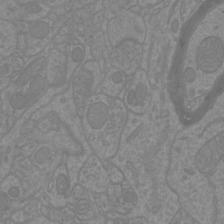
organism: Mouse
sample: Cortical neurons